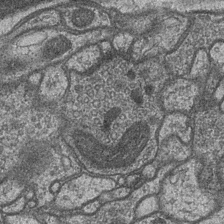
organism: Drosophila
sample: Optic medulla